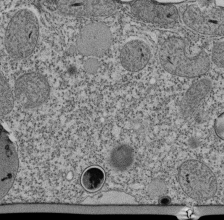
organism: Tetrahymena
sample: Cilia in tetrahymena